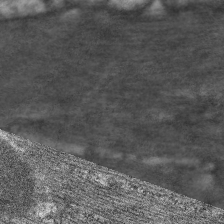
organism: C. elegans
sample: Pharynx